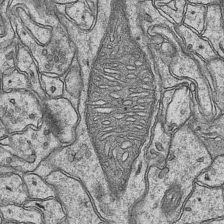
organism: Mouse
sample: CA1 Hippocampus